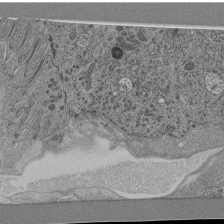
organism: C. elegans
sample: C. elegans pharynx